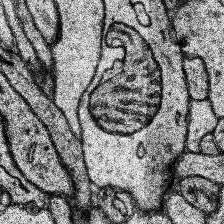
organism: Human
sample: Temporal Lobe